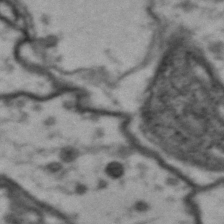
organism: Drosophila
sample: Brain